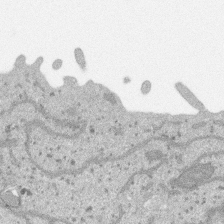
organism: Human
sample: Lung epithelial cells infected with SARS-CoV-2